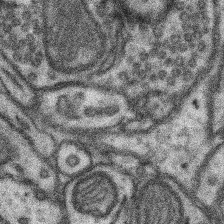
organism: Mouse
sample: Somatosensory cortex neuropil